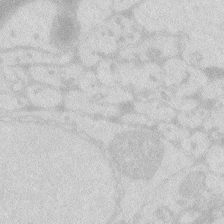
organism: Zebrafish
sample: Macrophage